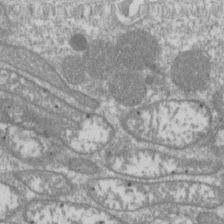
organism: Drosophila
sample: Cell division; meiosis; drosophila spermatocytes